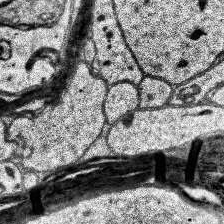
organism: Human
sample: Temporal Lobe